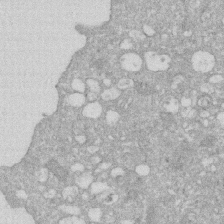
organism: Human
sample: HIV infected U937 cells